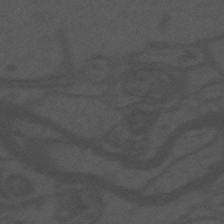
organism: Mouse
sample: Suprachiasmatic nucleus